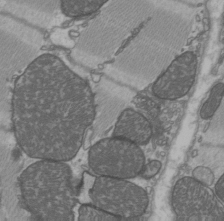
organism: C57BL Mouse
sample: Heart